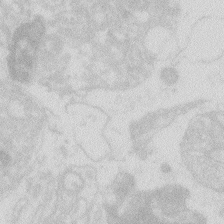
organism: Zebrafish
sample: Macrophage